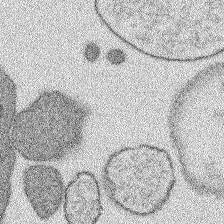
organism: Human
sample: HeLa cells